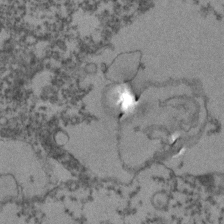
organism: Zebrafish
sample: Zebrafish embryo